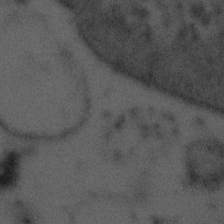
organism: Tuwongella immobilis